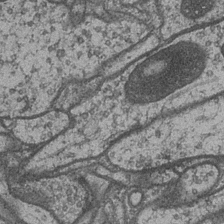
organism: Drosophila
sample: Optic medulla